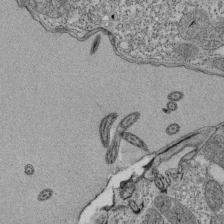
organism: Tetrahymena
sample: Cilia in tetrahymena